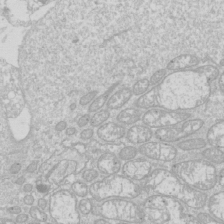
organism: Drosophila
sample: Cell division; meiosis; drosophila spermatocytes